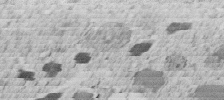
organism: C. elegans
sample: C. elegans embryo early stage